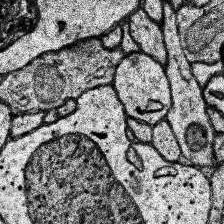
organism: Human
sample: Temporal Lobe